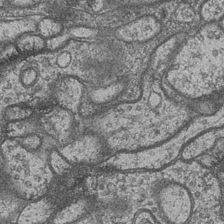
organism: Drosophila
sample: Optic medulla